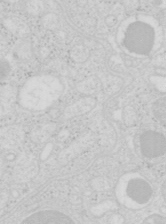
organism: Mouse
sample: Pancreas